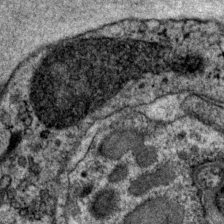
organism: P. pacificus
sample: Pharynx